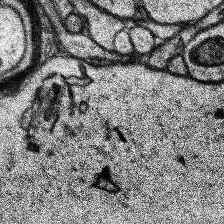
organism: Human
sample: Temporal Lobe